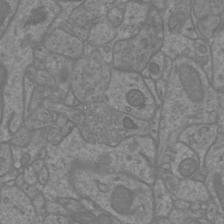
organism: Mouse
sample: Cortical neurons